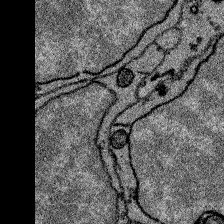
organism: Zebrafish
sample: Larval olfactory bulb